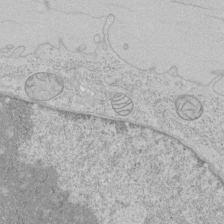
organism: Human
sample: Mitochondria in HCT116 cells